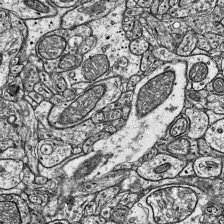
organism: Mouse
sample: Visual Cortex